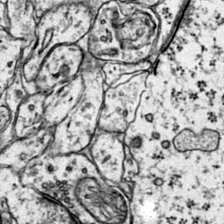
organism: Mouse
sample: Primary visual cortex